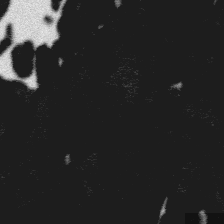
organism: Platynereis dumerilii